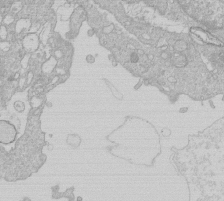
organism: Human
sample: Macrophage cells